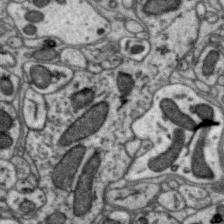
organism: Zebra finch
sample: Brain